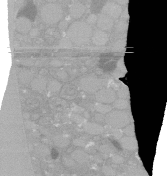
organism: C. elegans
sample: C. elegans oocyte; sperm cells